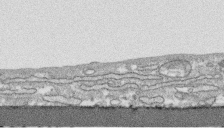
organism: Human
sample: CRL-1474